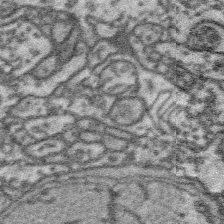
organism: Platynereis dumerilii